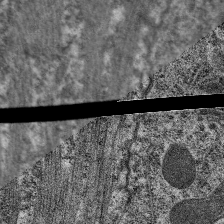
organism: C. elegans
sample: Pharynx